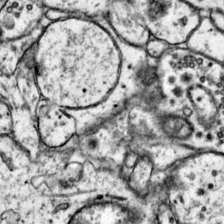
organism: Mouse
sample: Primary visual cortex